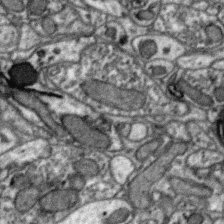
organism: Zebra finch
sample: Brain